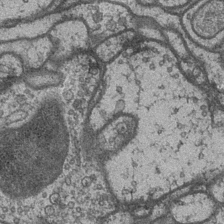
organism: Drosophila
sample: Optic medulla